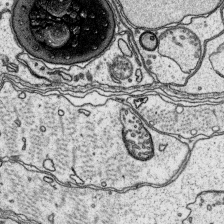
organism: Platynereis dumerilii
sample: Parapodia